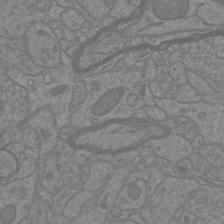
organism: Mouse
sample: Cortical neurons